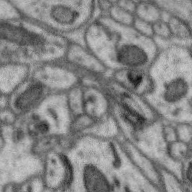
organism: Zebra finch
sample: Brain